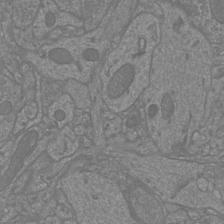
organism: Mouse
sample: Cortical neurons